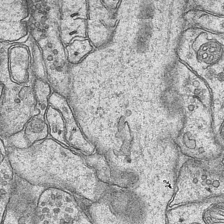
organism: Mouse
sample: CA1 Hippocampus